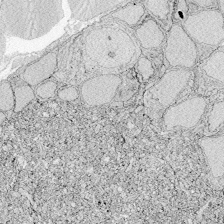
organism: Zebrafish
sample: Whole-Brain